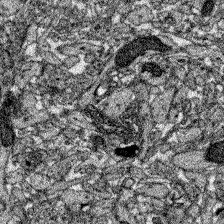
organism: Zebrafish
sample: Larval olfactory bulb